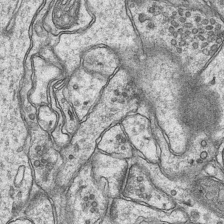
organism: Mouse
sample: CA1 Hippocampus